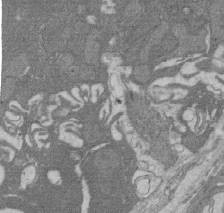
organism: Rat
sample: Salivary granule